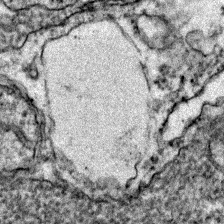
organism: Zebrafish